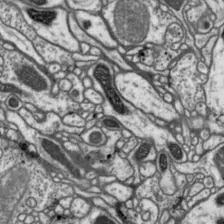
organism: Drosophila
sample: Protocerebral bridge